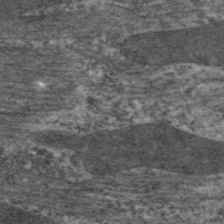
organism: C. elegans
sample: Pharynx